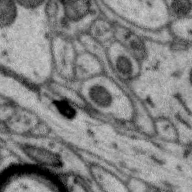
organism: Zebra finch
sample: Brain